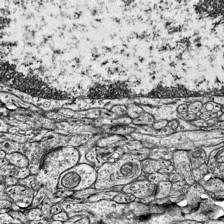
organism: Mouse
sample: Visual Cortex